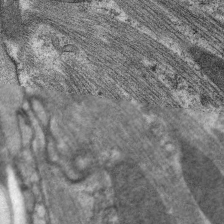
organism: C. elegans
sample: Pharynx